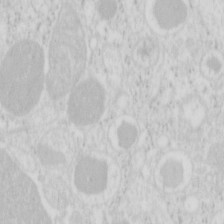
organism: Mouse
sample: Pancreas